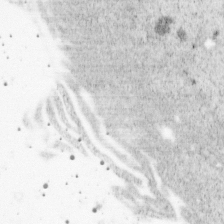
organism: African green monkey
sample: COS-7 cells